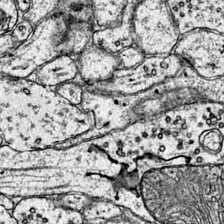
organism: Mouse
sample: Primary visual cortex